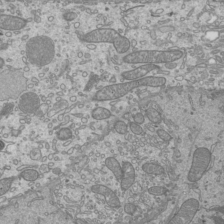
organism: Mouse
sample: Cilia; mouse epididymis